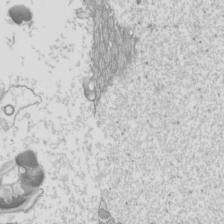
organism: Mouse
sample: Cilia; mouse epididymis